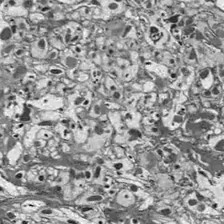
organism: Drosophila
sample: Optic lobe